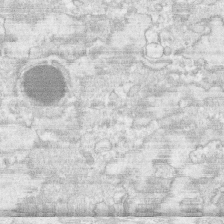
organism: Human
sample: CRL-1474